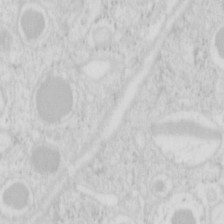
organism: Mouse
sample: Pancreas